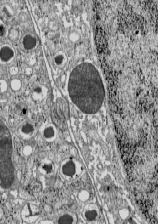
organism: C57BL Mouse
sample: Pancreatic islet